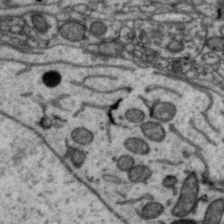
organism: Zebra finch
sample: Brain